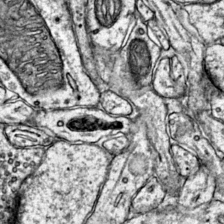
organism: Mouse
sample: Primary visual cortex